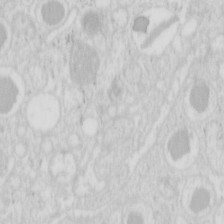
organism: Mouse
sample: Pancreas